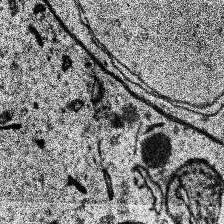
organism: Human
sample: Temporal Lobe